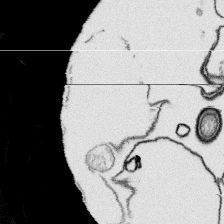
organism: Platynereis dumerilii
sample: Parapodia